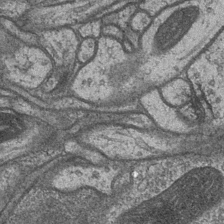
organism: Drosophila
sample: Optic medulla